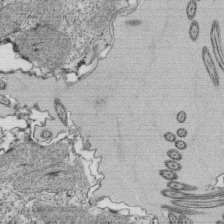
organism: Tetrahymena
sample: Cilia in tetrahymena